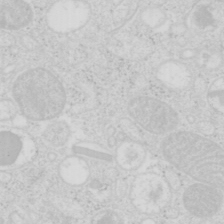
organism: Mouse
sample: Pancreas